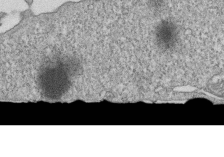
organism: Human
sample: HeLa cell HIV synapse